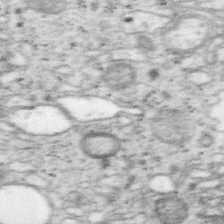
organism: Mouse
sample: OT-I killer T cells with ID8 ovarian cancer cells